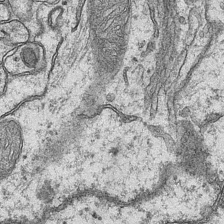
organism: Mouse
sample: CA1 Hippocampus